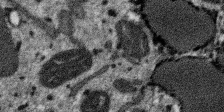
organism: Human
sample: Lung epithelial cells infected with SARS-CoV-2